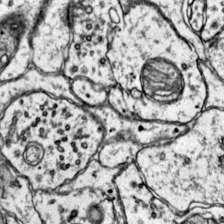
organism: Mouse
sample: Primary visual cortex